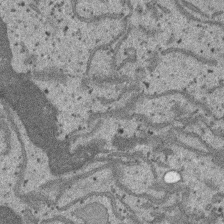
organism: Human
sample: Lung epithelial cells infected with SARS-CoV-2